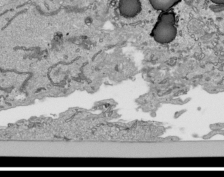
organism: Human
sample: Mitochondria in HCT116 cells